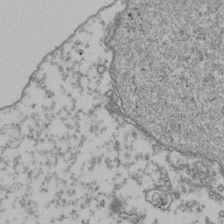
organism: Human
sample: Activated Jurkat CD4+ T cells